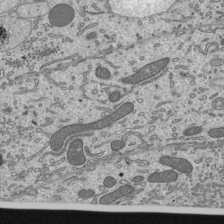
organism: Mouse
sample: Mouse epididymis efferent ductule cilia